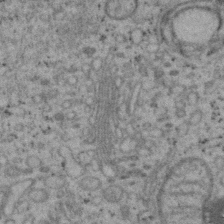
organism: Human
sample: HeLa cells